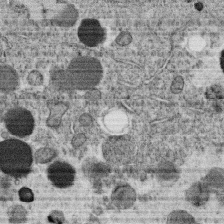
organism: C. elegans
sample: C. elegans oocyte; sperm cells